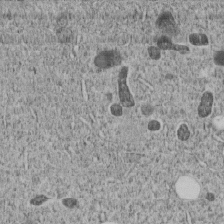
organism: C. elegans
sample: C. elegans embryo early stage